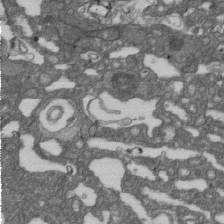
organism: Drosophila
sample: Nephrocyte